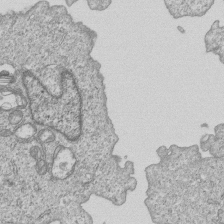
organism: Human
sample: MDA-MB-231 cells